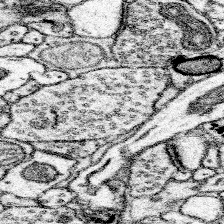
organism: Mouse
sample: Somatosensory cortex neuropil